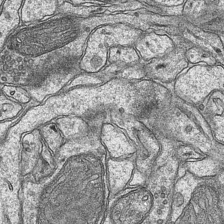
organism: Mouse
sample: CA1 Hippocampus